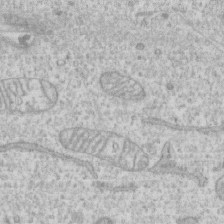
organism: Human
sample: CRL-1474